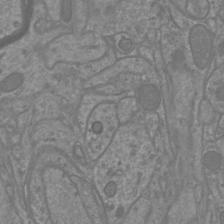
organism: Mouse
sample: Cortical neurons